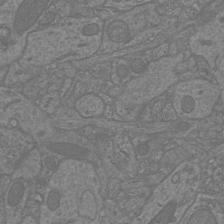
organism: Mouse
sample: Cortical neurons